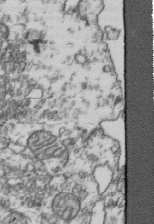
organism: Human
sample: Activated Jurkat CD4+ T cells